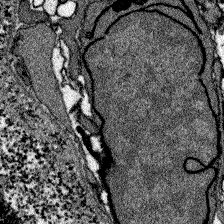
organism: Zebrafish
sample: Larval olfactory bulb